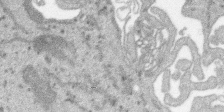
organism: Human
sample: Lung epithelial cells infected with SARS-CoV-2